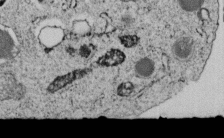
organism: C. elegans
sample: C. elegans embryo early stage